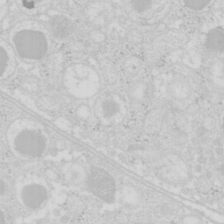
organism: Mouse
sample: Pancreas